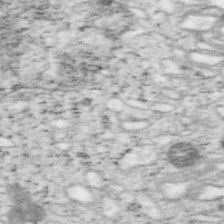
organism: Mouse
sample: OT-I killer T cells with ID8 ovarian cancer cells